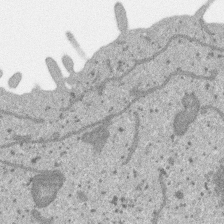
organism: Human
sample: Lung epithelial cells infected with SARS-CoV-2